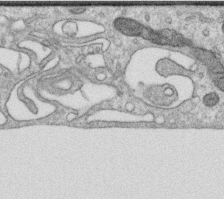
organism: Human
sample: Centriole in RPE cells